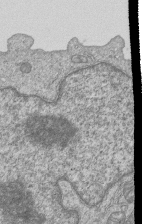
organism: Human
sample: MDA-MB-231 cells